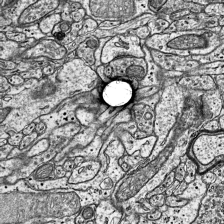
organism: Mouse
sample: Visual Cortex